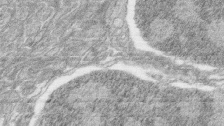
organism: Zebrafish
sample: synaptic ribbons in rod cells and cone cells